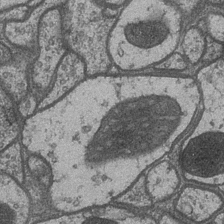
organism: Drosophila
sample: Optic medulla